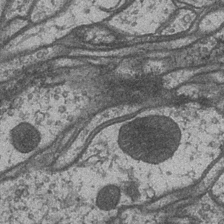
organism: Drosophila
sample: Optic medulla